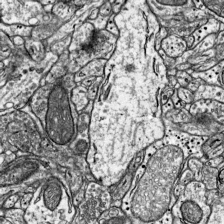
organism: Mouse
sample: Visual Cortex